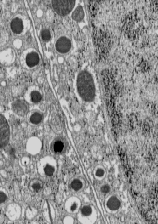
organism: C57BL Mouse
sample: Pancreatic islet